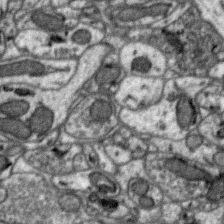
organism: Zebra finch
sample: Brain